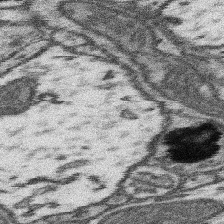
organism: Mouse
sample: Somatosensory cortex neuropil